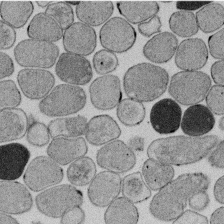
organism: E. coli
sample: Bacterial nucleoid